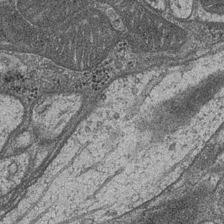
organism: Drosophila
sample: Optic medulla